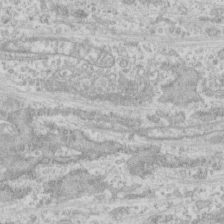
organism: Human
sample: CRL-1474